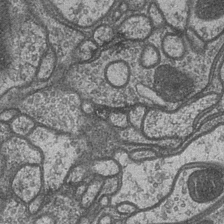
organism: Drosophila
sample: Optic medulla